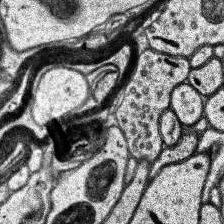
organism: Human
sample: Temporal Lobe